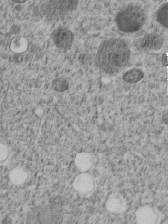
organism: C. elegans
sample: C. elegans embryo early stage